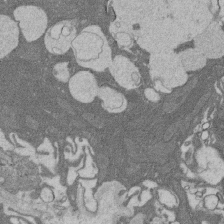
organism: Rat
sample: Salivary granule